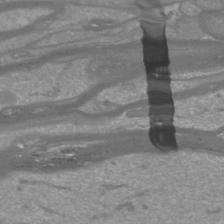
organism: Mouse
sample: Cortical neurons